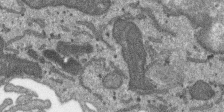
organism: Human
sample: Lung epithelial cells infected with SARS-CoV-2